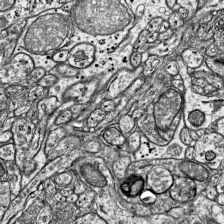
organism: Mouse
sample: Visual Cortex